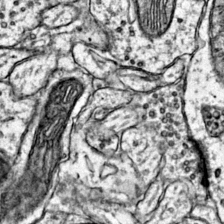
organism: Mouse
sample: Primary visual cortex